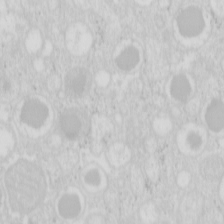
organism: Mouse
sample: Pancreas